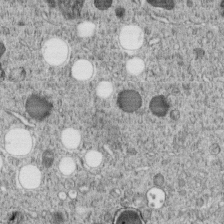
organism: C. elegans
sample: C. elegans embryo early stage